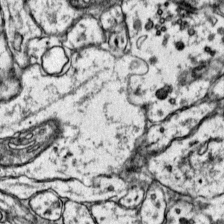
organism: Mouse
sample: Primary visual cortex